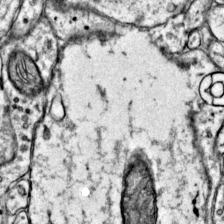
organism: Mouse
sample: Primary visual cortex